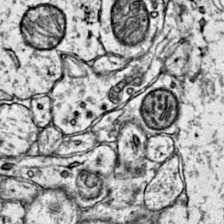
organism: Mouse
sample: Primary visual cortex